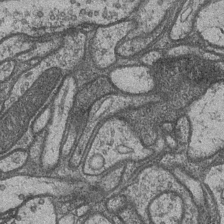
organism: Drosophila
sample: Optic medulla